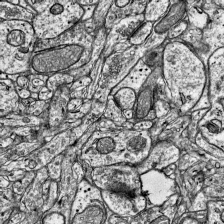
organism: Mouse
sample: Visual Cortex